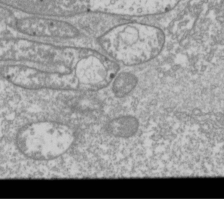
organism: Drosophila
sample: Cell division; meiosis; drosophila spermatocytes